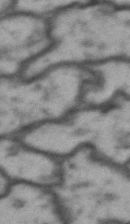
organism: Drosophila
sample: Brain